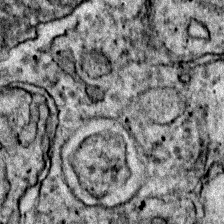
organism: Zebrafish